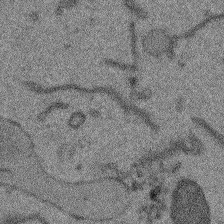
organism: Arabidopsis thaliana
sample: Root tip